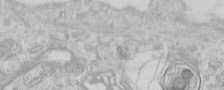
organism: Human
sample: Centriole in RPE cells